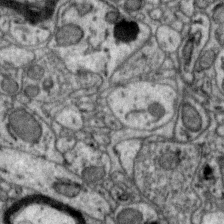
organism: Zebra finch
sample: Brain